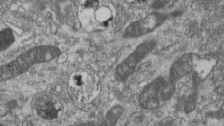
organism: Mouse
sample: Centriole in ependymal cells